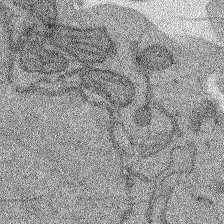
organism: Human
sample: HeLa cells